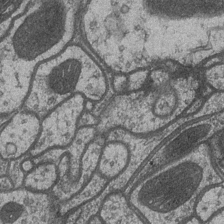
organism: Drosophila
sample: Optic medulla